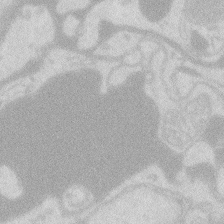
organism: Zebrafish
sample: Macrophage